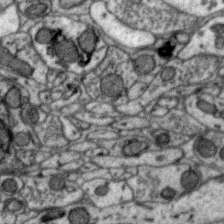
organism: Zebra finch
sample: Brain